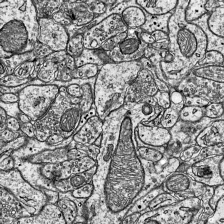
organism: Mouse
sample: Visual Cortex